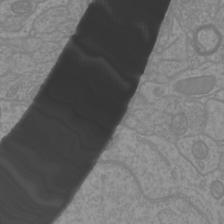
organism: Mouse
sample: Cortical neurons